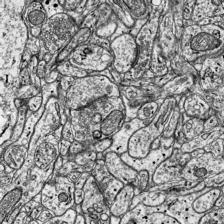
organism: Mouse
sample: Visual Cortex